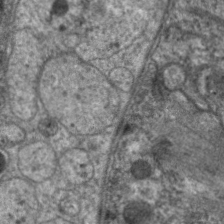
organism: C. elegans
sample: Pharynx